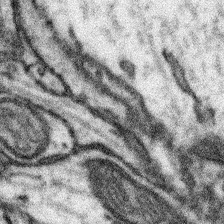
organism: Mouse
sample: Somatosensory cortex neuropil